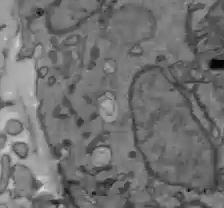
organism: C57BL Mouse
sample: Liver